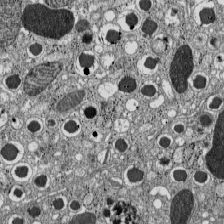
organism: C57BL Mouse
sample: Pancreatic islet